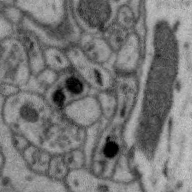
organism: Zebra finch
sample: Brain